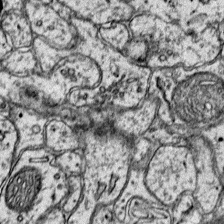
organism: Mouse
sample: Primary visual cortex